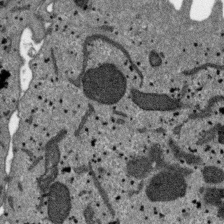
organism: Human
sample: Lung epithelial cells, uninfected (mock) control